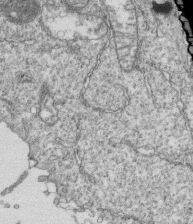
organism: Human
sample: HeLa cell HIV synapse